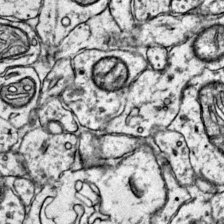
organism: Mouse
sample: Primary visual cortex